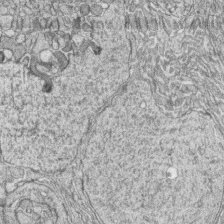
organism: Zebrafish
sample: synaptic ribbons in rod cells and cone cells